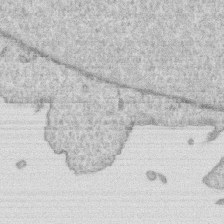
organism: Human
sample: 1205lu cells